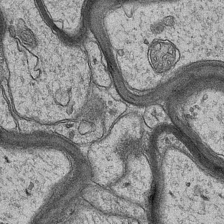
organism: Mouse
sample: CA1 Hippocampus